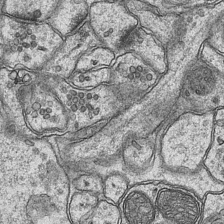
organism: Mouse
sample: CA1 Hippocampus